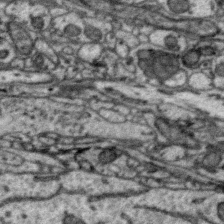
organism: Zebra finch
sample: Brain